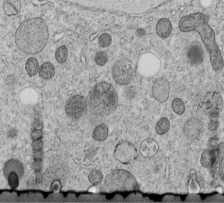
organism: C. elegans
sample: C. elegans embryo early stage